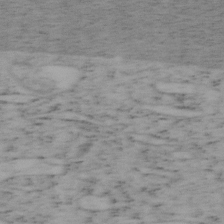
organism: Mouse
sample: OT-I killer T cells with ID8 ovarian cancer cells